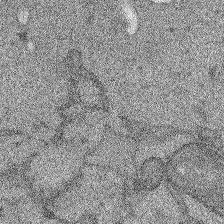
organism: Human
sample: HeLa cells